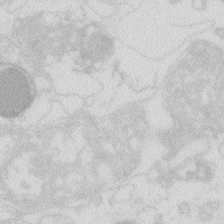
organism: Zebrafish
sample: Macrophage